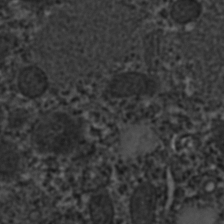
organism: C. elegans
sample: C. elegans embryo